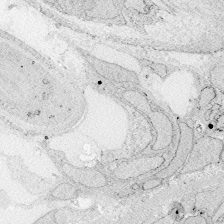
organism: Zebrafish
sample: Whole-Brain